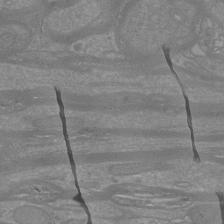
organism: Mouse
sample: Cortical neurons